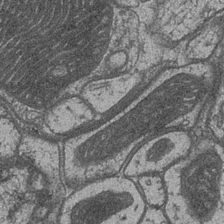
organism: Drosophila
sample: Optic medulla